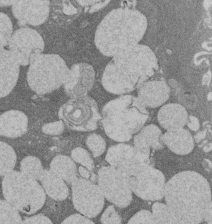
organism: Rat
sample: Salivary granule